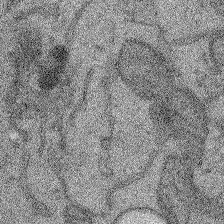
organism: Human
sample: HeLa cells